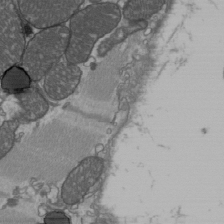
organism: C57BL Mouse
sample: Heart